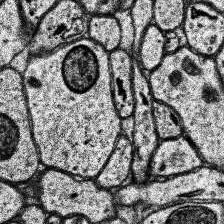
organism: Human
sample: Temporal Lobe